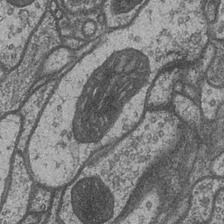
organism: Drosophila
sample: Optic medulla